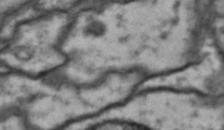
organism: Drosophila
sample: Brain